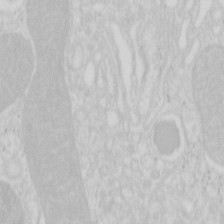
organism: Mouse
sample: Pancreas